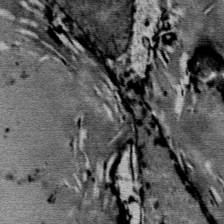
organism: Mouse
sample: Mouse Salivary gland